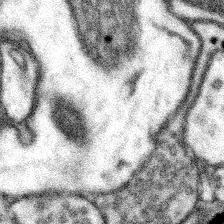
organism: Mouse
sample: Somatosensory cortex neuropil